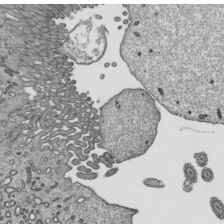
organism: Mouse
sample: Mouse epididymis efferent ductule cilia